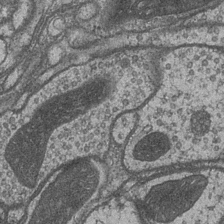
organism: Drosophila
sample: Optic medulla